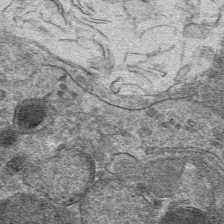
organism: Mouse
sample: Mouse hepatocytes